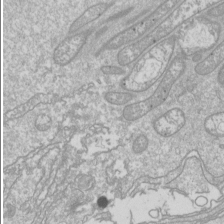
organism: Drosophila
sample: Cell division; meiosis; drosophila spermatocytes